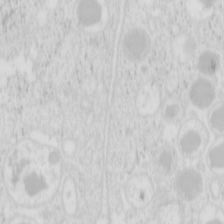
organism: Mouse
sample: Pancreas